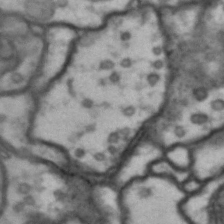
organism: Drosophila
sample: Brain